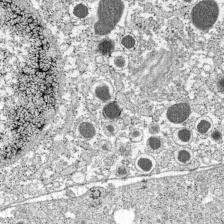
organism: C57BL Mouse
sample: Pancreatic islet